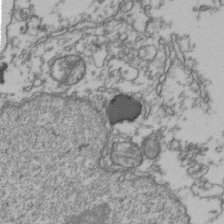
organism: Human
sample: Activated Jurkat CD4+ T cells